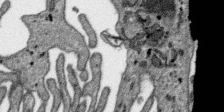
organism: Human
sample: Lung epithelial cells, uninfected (mock) control